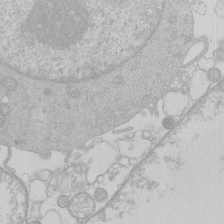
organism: Human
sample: Macrophage cells